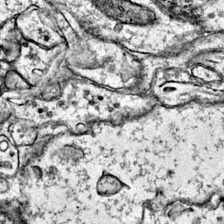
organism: Mouse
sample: Primary visual cortex